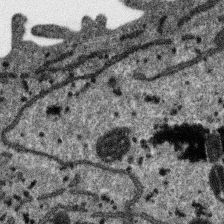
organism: Human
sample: Lung epithelial cells infected with SARS-CoV-2